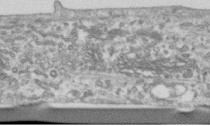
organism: Human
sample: Centriole in RPE cells